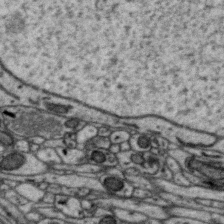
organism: Zebra finch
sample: Brain